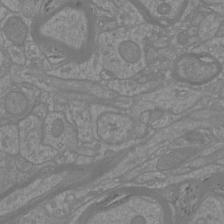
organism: Mouse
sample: Cortical neurons